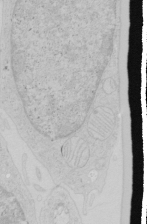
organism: Human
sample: Mitochondria in HCT116 cells